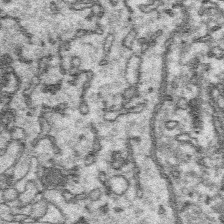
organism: Platynereis dumerilii